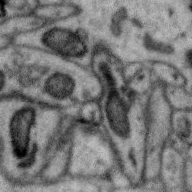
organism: Zebra finch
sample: Brain